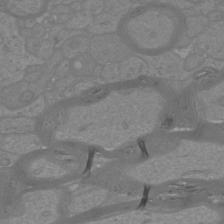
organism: Mouse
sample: Cortical neurons